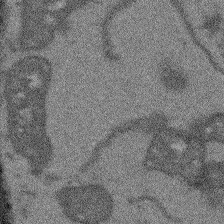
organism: Arabidopsis thaliana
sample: Root tip